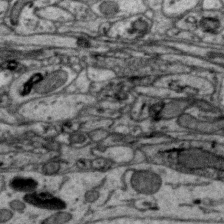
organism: Zebra finch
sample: Brain